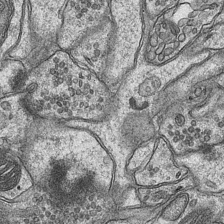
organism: Mouse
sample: CA1 Hippocampus